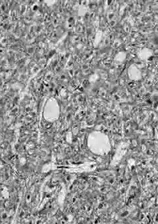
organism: Drosophila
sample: Optic lobe